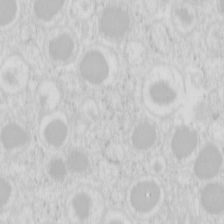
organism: Mouse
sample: Pancreas